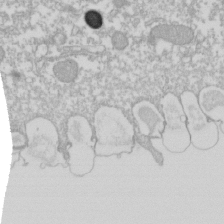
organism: Xenopus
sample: Cilia; centrioles in frog embryo cells